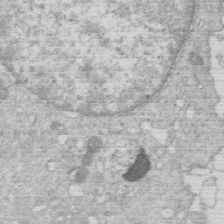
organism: Human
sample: Macrophage cells